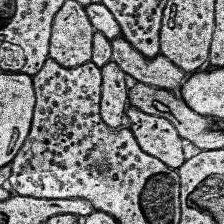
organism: Human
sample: Temporal Lobe